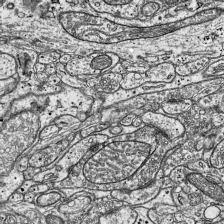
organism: Mouse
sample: Visual Cortex